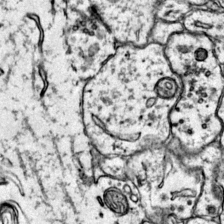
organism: Mouse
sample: Primary visual cortex